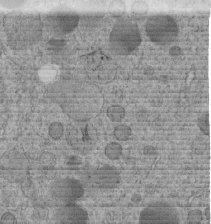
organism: C. elegans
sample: C. elegans embryo early stage